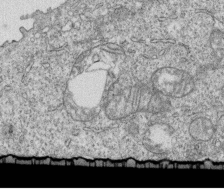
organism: Human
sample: HeLa cell HIV synapse